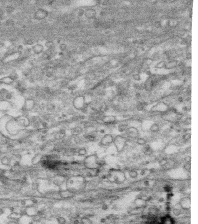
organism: Human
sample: CRL-1474